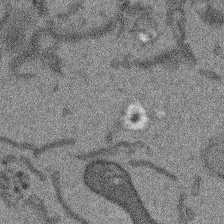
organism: Arabidopsis thaliana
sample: Root tip